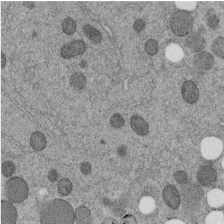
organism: C. elegans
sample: C. elegans embryo early stage